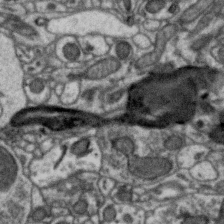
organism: Zebra finch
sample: Brain